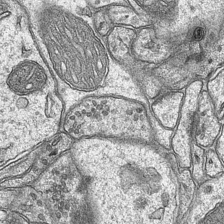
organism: Mouse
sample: CA1 Hippocampus